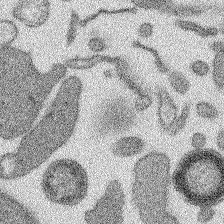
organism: Human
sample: HeLa cells